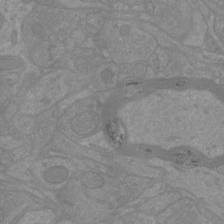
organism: Mouse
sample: Cortical neurons